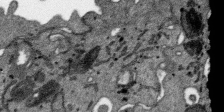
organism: Human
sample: Lung epithelial cells, uninfected (mock) control